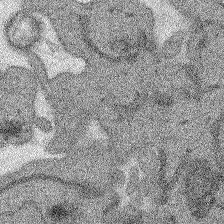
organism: Human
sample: HeLa cells